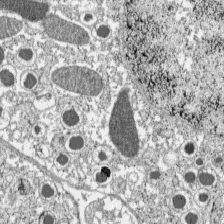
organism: C57BL Mouse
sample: Pancreatic islet